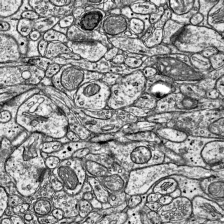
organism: Mouse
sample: Visual Cortex